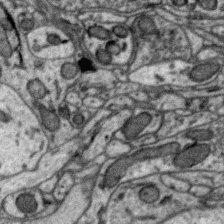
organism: Zebra finch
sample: Brain